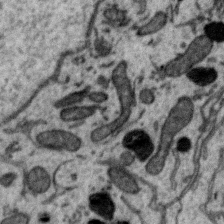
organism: Zebra finch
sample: Brain